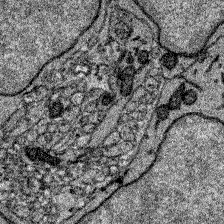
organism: Zebrafish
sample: Larval olfactory bulb